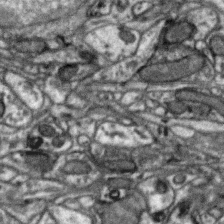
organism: Zebra finch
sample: Brain